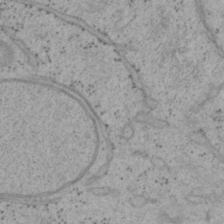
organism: Human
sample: HeLa cells